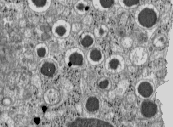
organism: C57BL Mouse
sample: Pancreatic islet